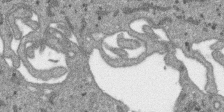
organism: Human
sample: Lung epithelial cells infected with SARS-CoV-2